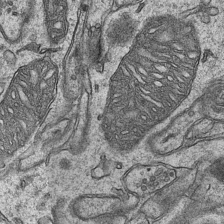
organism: Mouse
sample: CA1 Hippocampus